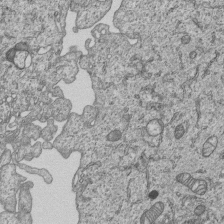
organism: Human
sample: MDA-MB-231 cells